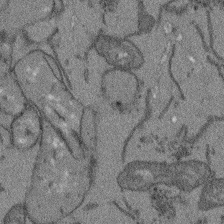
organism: Arabidopsis thaliana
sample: Root tip